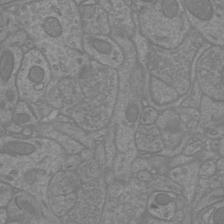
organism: Mouse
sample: Cortical neurons